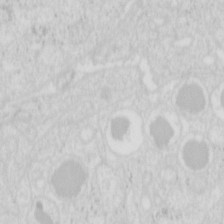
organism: Mouse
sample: Pancreas